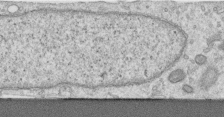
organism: Human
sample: Centriole in RPE cells